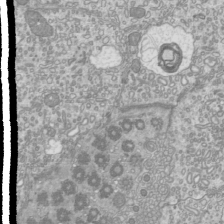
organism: Mouse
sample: Cilia; mouse epididymis